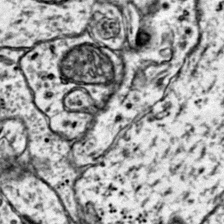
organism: Mouse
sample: Primary visual cortex